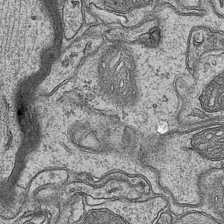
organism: Mouse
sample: CA1 Hippocampus